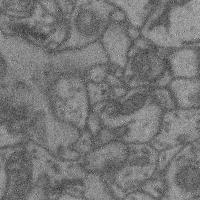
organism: Mouse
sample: Cerebral cortex